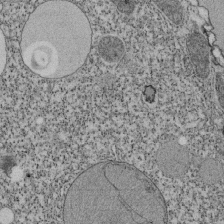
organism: Tetrahymena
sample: Cilia in tetrahymena